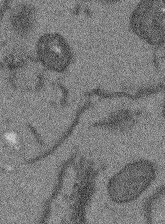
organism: Arabidopsis thaliana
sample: Root tip